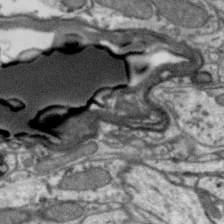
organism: Zebra finch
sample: Brain